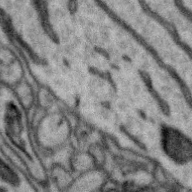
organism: Zebra finch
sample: Brain